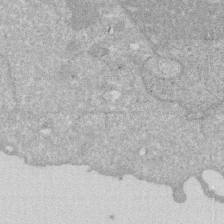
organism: Human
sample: HIV infected U937 cells